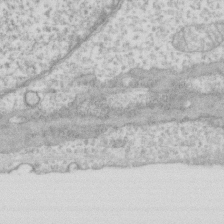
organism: Human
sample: Fibroblast cells